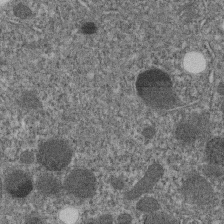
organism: C. elegans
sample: C. elegans embryo early stage